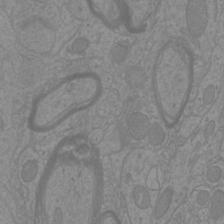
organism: Mouse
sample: Cortical neurons